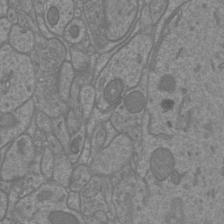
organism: Mouse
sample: Cortical neurons